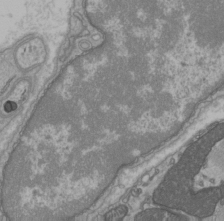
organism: C57BL Mouse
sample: Heart